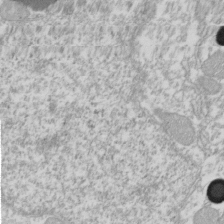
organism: Xenopus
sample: Cilia; centrioles in frog embryo cells